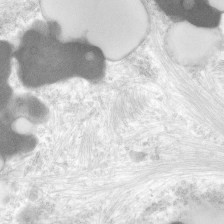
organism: Human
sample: Neocortex